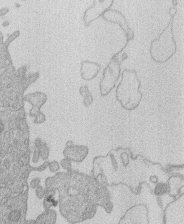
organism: Human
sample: Macrophage cells